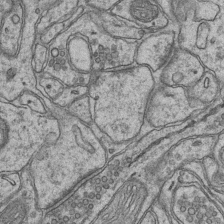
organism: Mouse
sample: CA1 Hippocampus